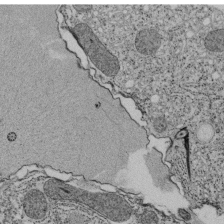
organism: Tetrahymena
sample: Cilia in tetrahymena